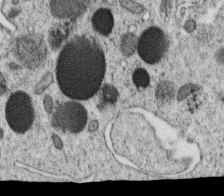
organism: C. elegans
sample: C. elegans oocyte; sperm cells